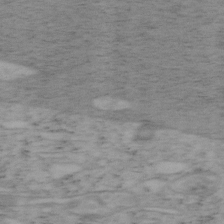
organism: Mouse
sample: OT-I killer T cells with ID8 ovarian cancer cells